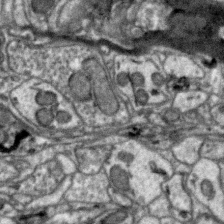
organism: Zebra finch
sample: Brain